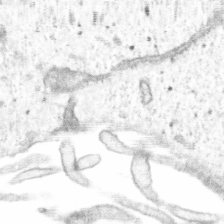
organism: Human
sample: HeLa cells